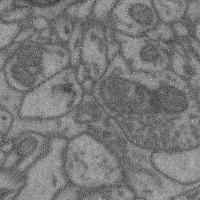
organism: Mouse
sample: Cerebral cortex